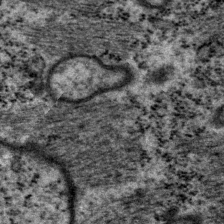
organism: P. pacificus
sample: Pharynx